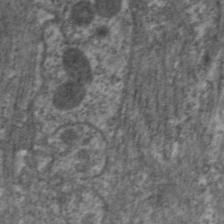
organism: C. elegans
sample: Pharynx